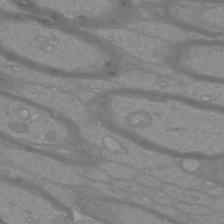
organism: Mouse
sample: Cortical neurons